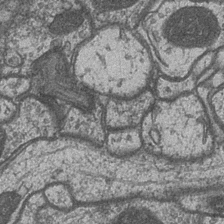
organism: Drosophila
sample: Optic medulla